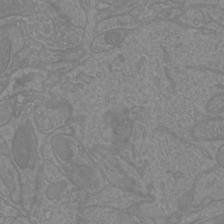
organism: Mouse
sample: Cortical neurons